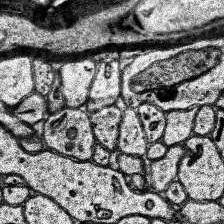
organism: Human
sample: Temporal Lobe